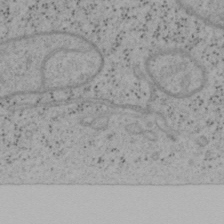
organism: Human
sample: HeLa cells